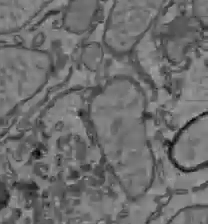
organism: C57BL Mouse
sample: Liver